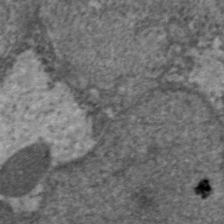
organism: C. elegans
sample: Pharynx